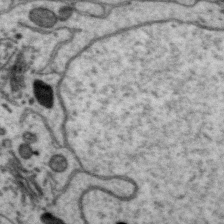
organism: Zebra finch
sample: Brain